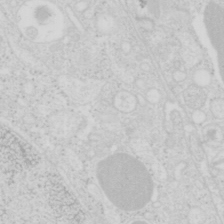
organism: Mouse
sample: Pancreas